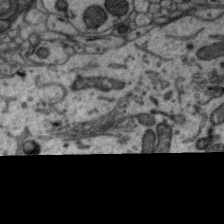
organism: Zebra finch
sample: Brain